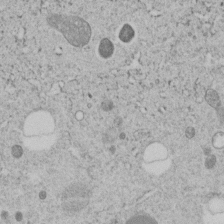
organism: C. elegans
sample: C. elegans embryo early stage